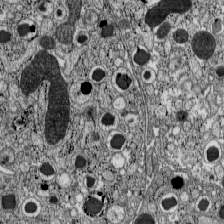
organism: C57BL Mouse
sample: Pancreatic islet